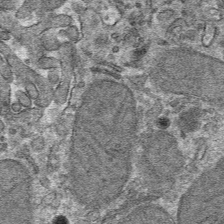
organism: Mouse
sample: Mouse hepatocytes